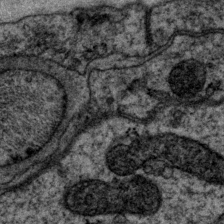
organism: P. pacificus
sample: Pharynx